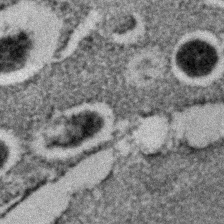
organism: C. elegans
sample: C. elegans embryo